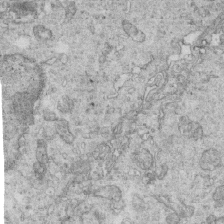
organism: Mouse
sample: Multiciliated cells